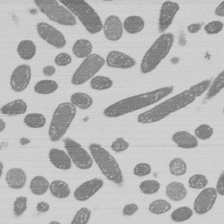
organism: E. coli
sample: Bacterial nucleoid